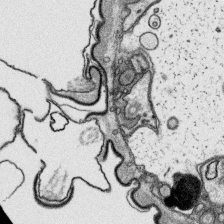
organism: Platynereis dumerilii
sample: Parapodia